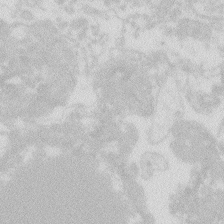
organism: Zebrafish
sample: Macrophage